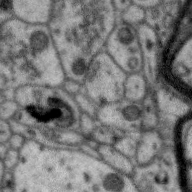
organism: Zebra finch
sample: Brain